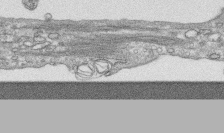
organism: Human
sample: CRL-1474